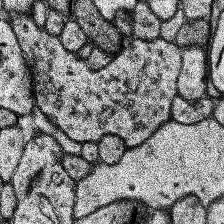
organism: Human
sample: Temporal Lobe